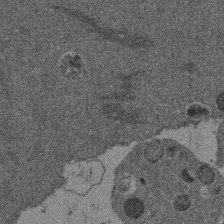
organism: Mouse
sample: Dividing mouse embryo 1 cell stage